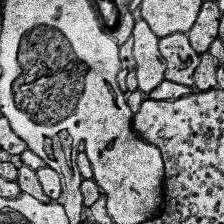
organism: Human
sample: Temporal Lobe